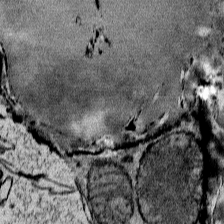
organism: Mouse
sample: Mouse Salivary gland